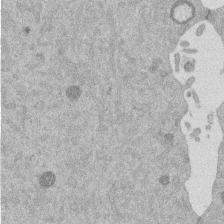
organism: Mouse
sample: Dividing mouse embryo 1 cell stage